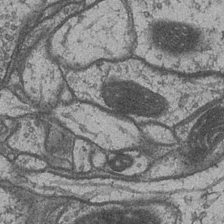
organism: Drosophila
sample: Optic medulla